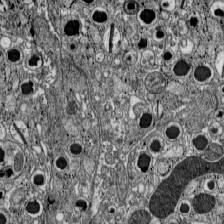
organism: C57BL Mouse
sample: Pancreatic islet